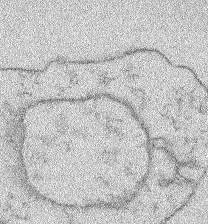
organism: Human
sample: HeLa cells